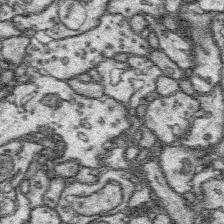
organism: Platynereis dumerilii